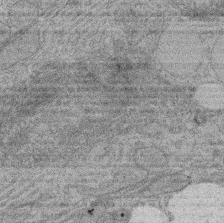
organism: Rat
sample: Salivary granule